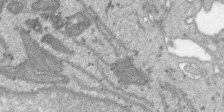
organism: Human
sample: Lung epithelial cells infected with SARS-CoV-2